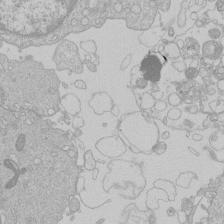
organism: Human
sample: Macrophage cells